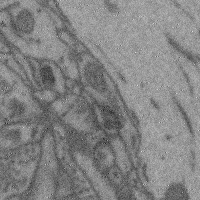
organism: Mouse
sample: Cerebral cortex